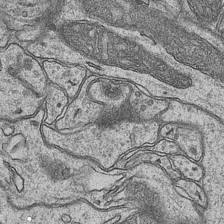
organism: Mouse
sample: CA1 Hippocampus